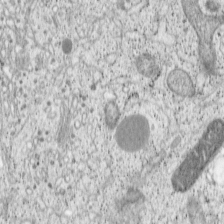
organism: African green monkey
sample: COS-7 cells